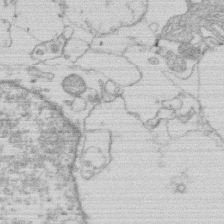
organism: Human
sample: Macrophage cells